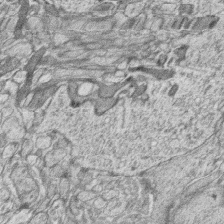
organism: Zebrafish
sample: synaptic ribbons in rod cells and cone cells